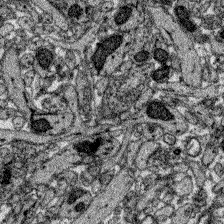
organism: Zebrafish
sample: Larval olfactory bulb